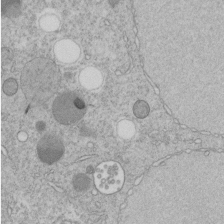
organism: C. elegans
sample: C. elegans embryo early stage